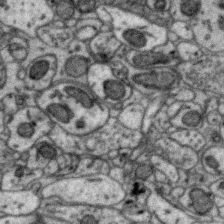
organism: Zebra finch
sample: Brain